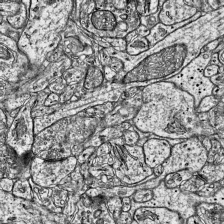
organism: Mouse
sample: Visual Cortex